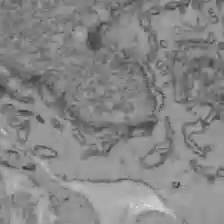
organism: C57BL Mouse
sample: Liver